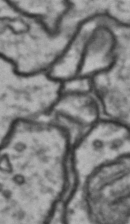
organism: Drosophila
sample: Brain